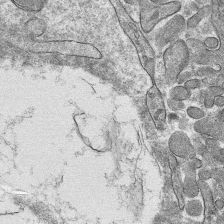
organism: Mouse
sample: Mouse hepatocytes